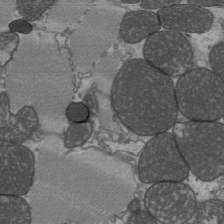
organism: C57BL Mouse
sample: Heart